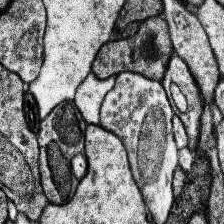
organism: Human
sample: Temporal Lobe